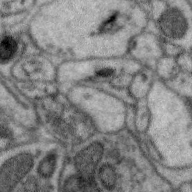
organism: Zebra finch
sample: Brain